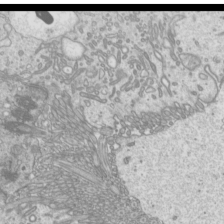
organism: Mouse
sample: Cilia; mouse epididymis